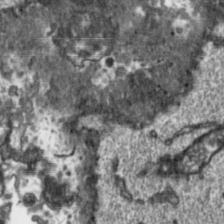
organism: Toxoplasma gondii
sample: Parasites in a vacuole inside a host cell